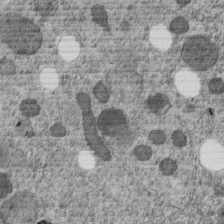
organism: C. elegans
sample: C. elegans embryo early stage